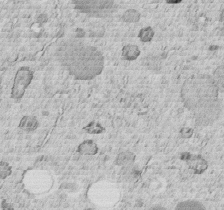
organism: C. elegans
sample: C. elegans embryo early stage